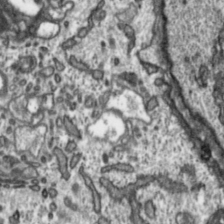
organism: Toxoplasma gondii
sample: Parasites in a vacuole inside a host cell